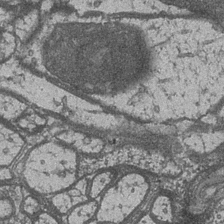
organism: Drosophila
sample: Optic medulla